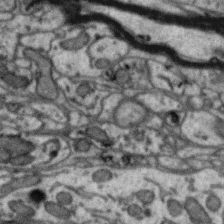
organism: Zebra finch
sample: Brain